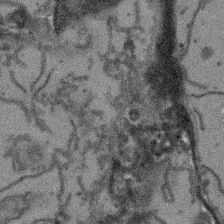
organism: Arabidopsis thaliana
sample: Root tip